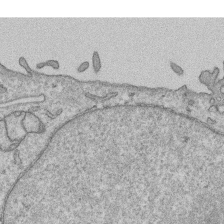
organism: Human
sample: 1205lu cells